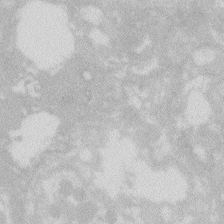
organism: Zebrafish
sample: Macrophage